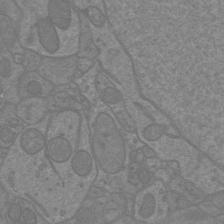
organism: Mouse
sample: Cortical neurons